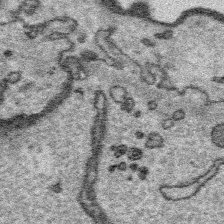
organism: Platynereis dumerilii